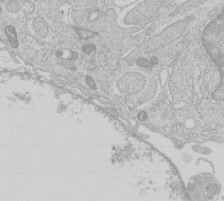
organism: Human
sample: Macrophage cells